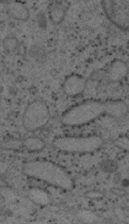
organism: Human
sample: HeLa cells